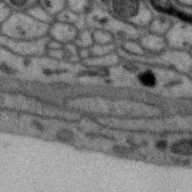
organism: Zebra finch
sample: Brain